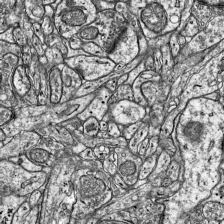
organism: Mouse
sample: Visual Cortex